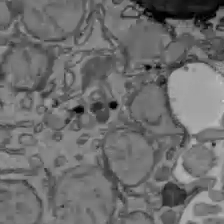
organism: C57BL Mouse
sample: Liver